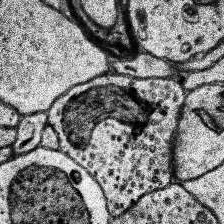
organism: Human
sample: Temporal Lobe